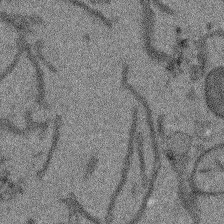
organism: Arabidopsis thaliana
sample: Root tip